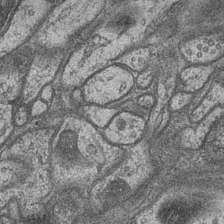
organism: Drosophila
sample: Optic medulla